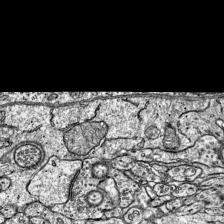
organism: Mouse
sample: Visual Cortex